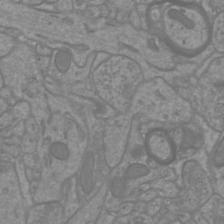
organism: Mouse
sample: Cortical neurons